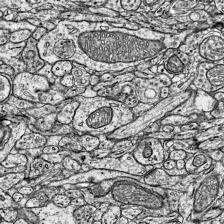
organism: Mouse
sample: Visual Cortex